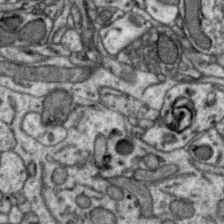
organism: Zebra finch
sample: Brain